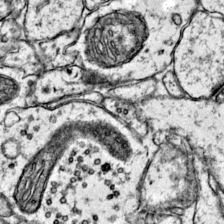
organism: Mouse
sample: Primary visual cortex